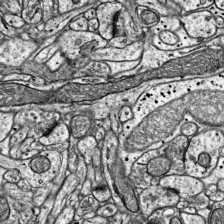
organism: Mouse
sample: Visual Cortex